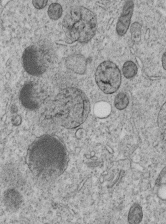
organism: C. elegans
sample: C. elegans embryo early stage